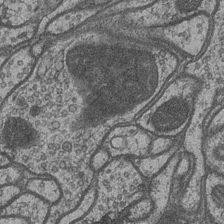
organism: Drosophila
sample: Optic medulla